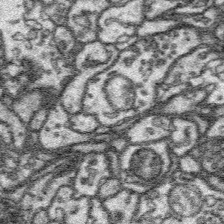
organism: Platynereis dumerilii